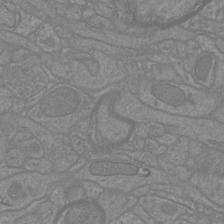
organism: Mouse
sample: Cortical neurons